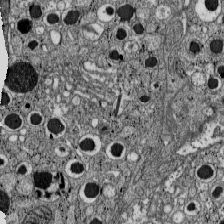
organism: C57BL Mouse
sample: Pancreatic islet